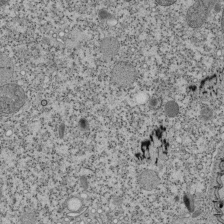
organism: Tetrahymena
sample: Cilia in tetrahymena